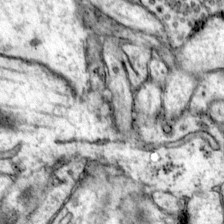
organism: Mouse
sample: Primary visual cortex